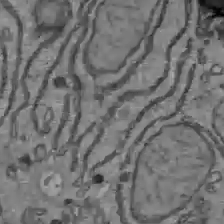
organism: C57BL Mouse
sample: Liver